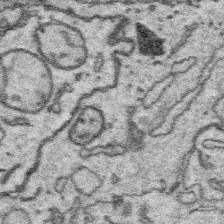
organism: Platynereis dumerilii